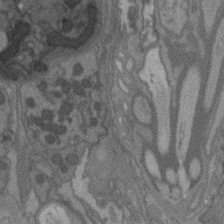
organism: C. elegans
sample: AFD neurons C. elegans